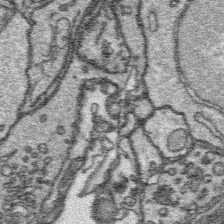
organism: Platynereis dumerilii